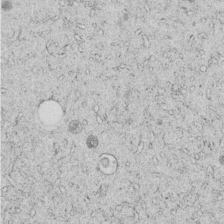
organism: C. elegans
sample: C. elegans embryo early stage